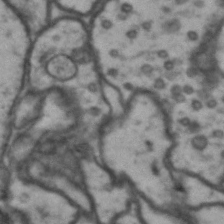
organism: Drosophila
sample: Brain